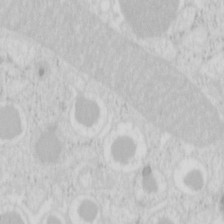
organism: Mouse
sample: Pancreas